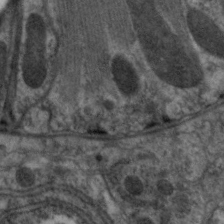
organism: C. elegans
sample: Pharynx